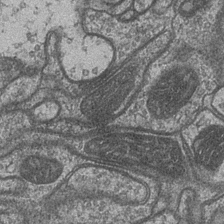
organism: Drosophila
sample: Optic medulla